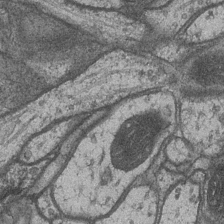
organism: Drosophila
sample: Optic medulla